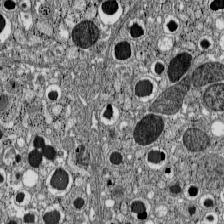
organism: C57BL Mouse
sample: Pancreatic islet